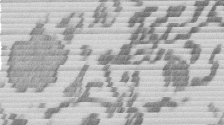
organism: Mouse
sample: Dividing mouse embryo 1 cell stage